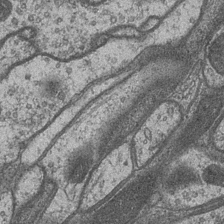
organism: Drosophila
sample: Optic medulla